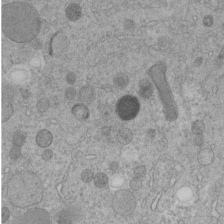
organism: C. elegans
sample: C. elegans embryo early stage